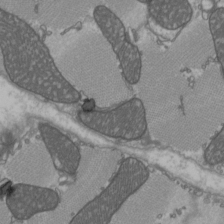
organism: C57BL Mouse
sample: Heart